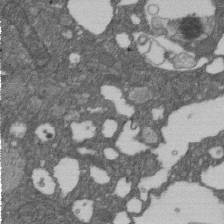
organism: Drosophila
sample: Nephrocyte